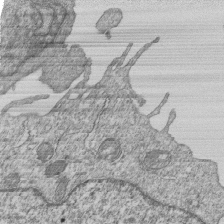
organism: Human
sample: MDA-MB-231 cells